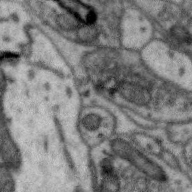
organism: Zebra finch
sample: Brain